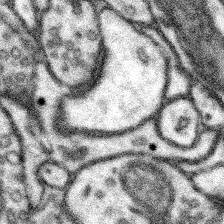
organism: Mouse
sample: Somatosensory cortex neuropil